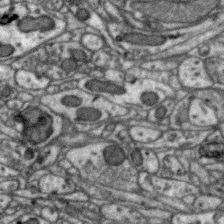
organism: Zebra finch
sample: Brain